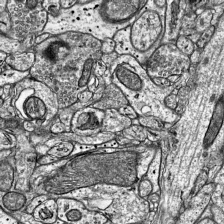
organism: Mouse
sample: Visual Cortex